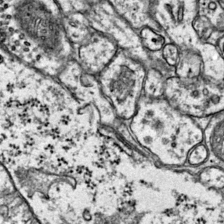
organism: Mouse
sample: Primary visual cortex